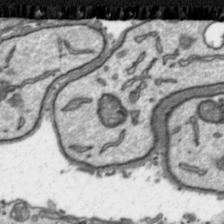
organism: Toxoplasma gondii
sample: Parasites in a vacuole inside a host cell